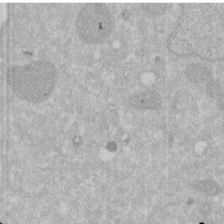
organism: Human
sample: HIV infected U937 cells